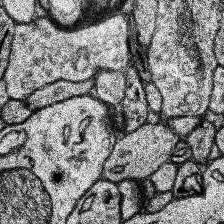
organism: Human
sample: Temporal Lobe